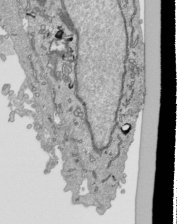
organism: Human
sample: Mitochondria in HCT116 cells